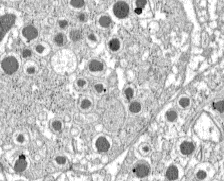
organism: C57BL Mouse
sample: Pancreatic islet